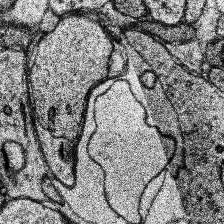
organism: Human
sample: Temporal Lobe